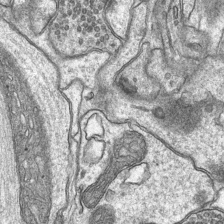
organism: Mouse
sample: CA1 Hippocampus